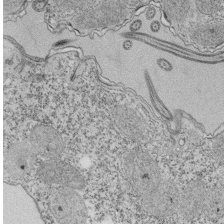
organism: Tetrahymena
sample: Cilia in tetrahymena